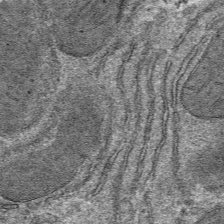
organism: Mouse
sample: Mouse hepatocytes